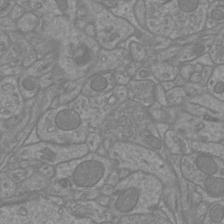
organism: Mouse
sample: Cortical neurons